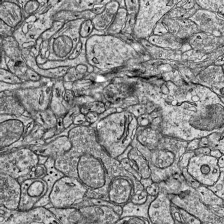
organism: Mouse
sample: Visual Cortex